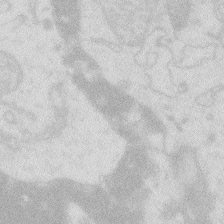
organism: Zebrafish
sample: Macrophage